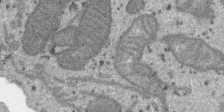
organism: Human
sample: Lung epithelial cells infected with SARS-CoV-2